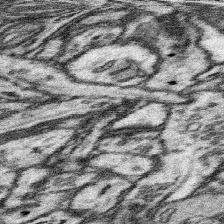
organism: Mouse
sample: Somatosensory cortex neuropil